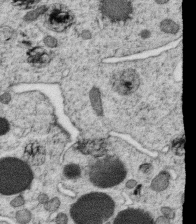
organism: C. elegans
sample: C. elegans oocyte; sperm cells